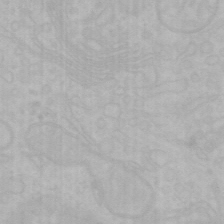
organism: Mouse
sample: Choroid plexus